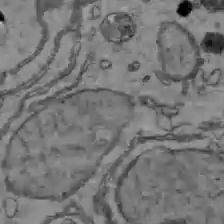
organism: C57BL Mouse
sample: Liver